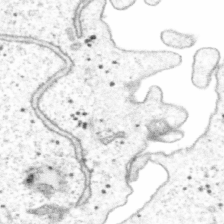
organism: Human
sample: HeLa cells